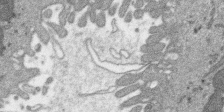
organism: Human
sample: Lung epithelial cells infected with SARS-CoV-2